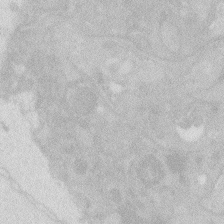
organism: Zebrafish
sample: Macrophage